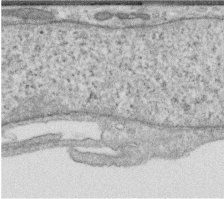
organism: Human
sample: Centriole in RPE cells